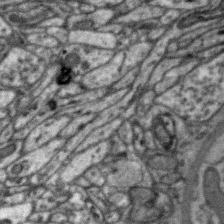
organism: Zebra finch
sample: Brain